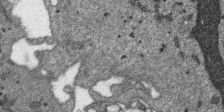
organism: Human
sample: Lung epithelial cells infected with SARS-CoV-2